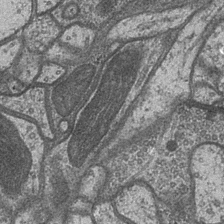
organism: Drosophila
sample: Optic medulla